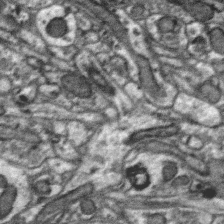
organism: Zebra finch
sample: Brain